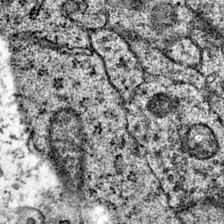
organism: Mouse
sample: Primary visual cortex